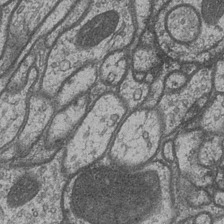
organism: Drosophila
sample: Optic medulla